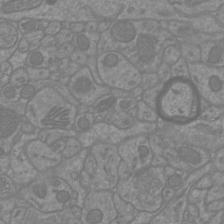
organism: Mouse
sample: Cortical neurons